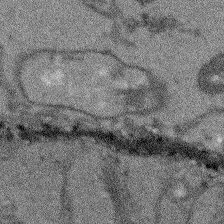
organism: Arabidopsis thaliana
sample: Root tip